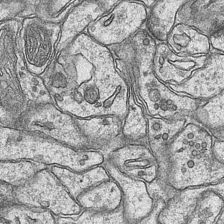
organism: Mouse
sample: CA1 Hippocampus